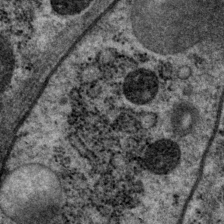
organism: P. pacificus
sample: Pharynx